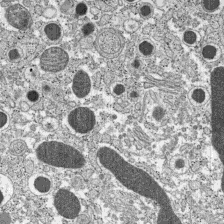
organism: C57BL Mouse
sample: Pancreatic islet